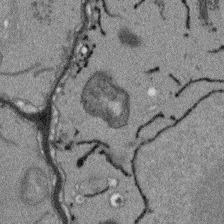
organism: Arabidopsis thaliana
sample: Root tip